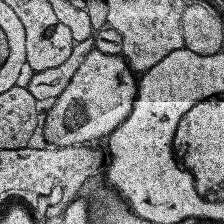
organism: Human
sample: Temporal Lobe